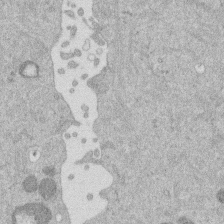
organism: Mouse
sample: Dividing mouse embryo 1 cell stage